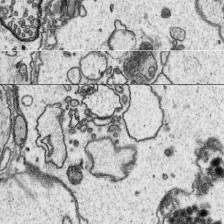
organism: Platynereis dumerilii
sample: Parapodia